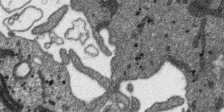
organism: Human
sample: Lung epithelial cells infected with SARS-CoV-2